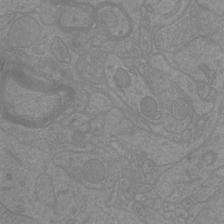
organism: Mouse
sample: Cortical neurons